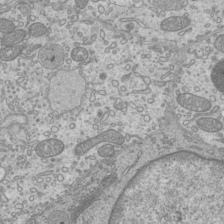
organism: Mouse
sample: Cilia; mouse epididymis